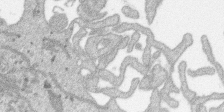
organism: Human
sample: Lung epithelial cells infected with SARS-CoV-2